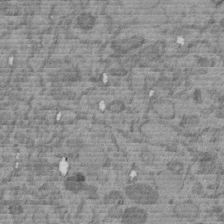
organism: C. elegans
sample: C. elegans embryo early stage